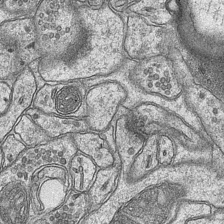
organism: Mouse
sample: CA1 Hippocampus